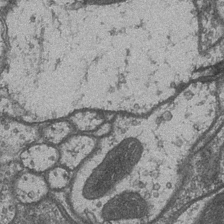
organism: Drosophila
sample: Optic medulla